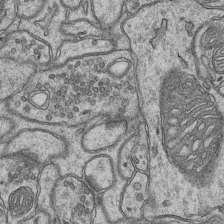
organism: Mouse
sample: CA1 Hippocampus